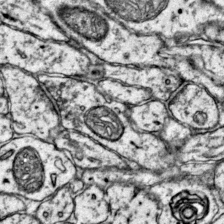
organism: Mouse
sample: Primary visual cortex